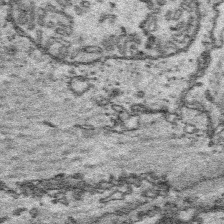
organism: Platynereis dumerilii